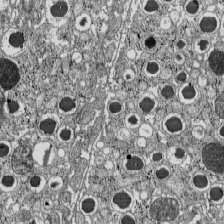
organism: C57BL Mouse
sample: Pancreatic islet